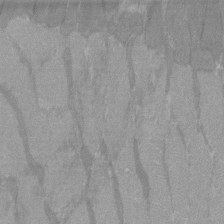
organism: C57BL Mouse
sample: Tibialis anterior muscle cell